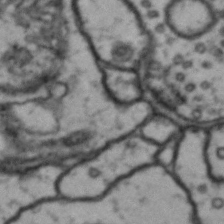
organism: Drosophila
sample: Brain